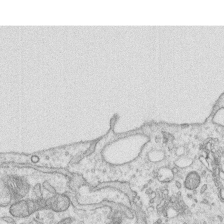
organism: Human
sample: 1205lu cells